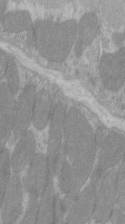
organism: C57BL Mouse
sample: Tibialis anterior muscle cell